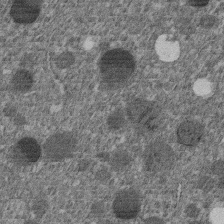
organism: C. elegans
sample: C. elegans embryo early stage